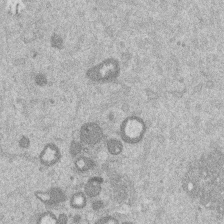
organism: Mouse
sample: Dividing mouse embryo 1 cell stage